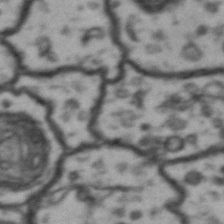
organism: Drosophila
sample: Brain